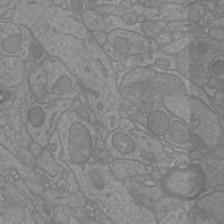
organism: Mouse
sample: Cortical neurons